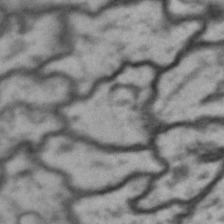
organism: Drosophila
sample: Brain